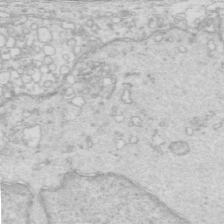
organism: Mouse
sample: Multiciliated cells